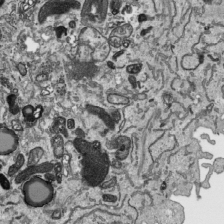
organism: Human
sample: Mitochondria in HCT116 cells